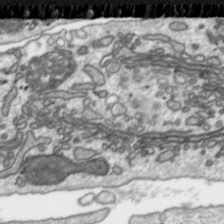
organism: Toxoplasma gondii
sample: Parasites in a vacuole inside a host cell